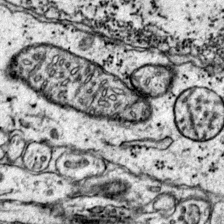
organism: Mouse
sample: Primary visual cortex